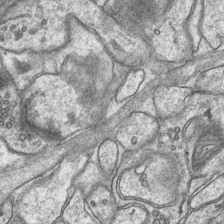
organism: Mouse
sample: CA1 Hippocampus